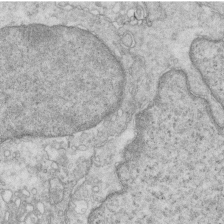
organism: Mouse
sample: Multiciliated cells